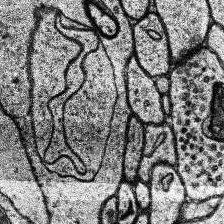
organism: Human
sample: Temporal Lobe